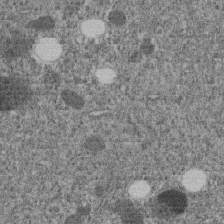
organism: C. elegans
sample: C. elegans embryo early stage